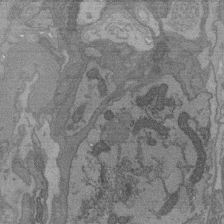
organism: C. elegans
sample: AFD neurons C. elegans